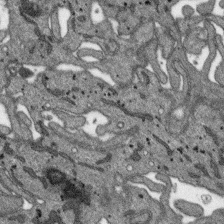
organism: Human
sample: Lung epithelial cells, uninfected (mock) control